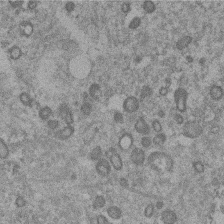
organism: Mouse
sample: Dividing mouse embryo 1 cell stage